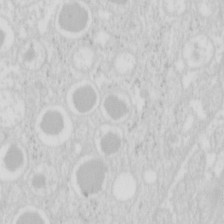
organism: Mouse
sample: Pancreas